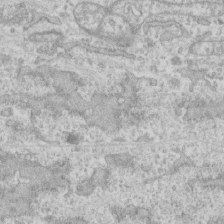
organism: Human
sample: CRL-1474